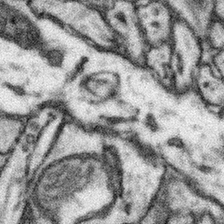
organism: Mouse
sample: Somatosensory cortex neuropil